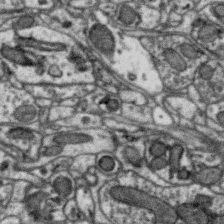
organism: Zebra finch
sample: Brain